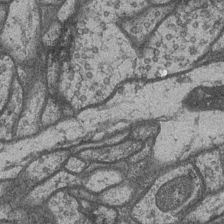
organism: Drosophila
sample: Optic medulla